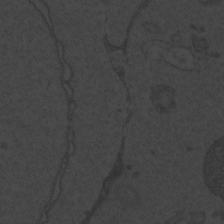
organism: Zebrafish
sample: Macrophage infected with Toxoplasma gondii